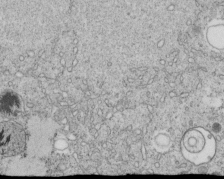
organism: C. elegans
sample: C. elegans embryo early stage